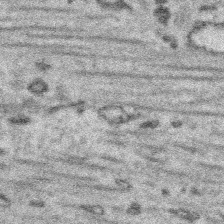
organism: Platynereis dumerilii